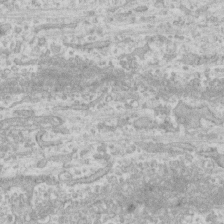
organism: Human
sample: CRL-1474